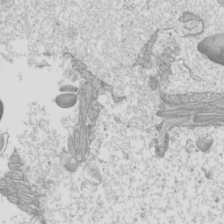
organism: Mouse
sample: Cilia; mouse epididymis